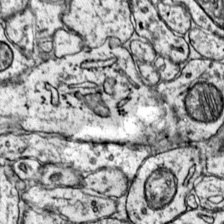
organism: Mouse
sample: Primary visual cortex